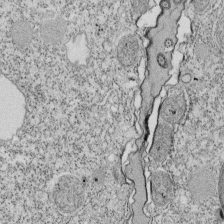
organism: Tetrahymena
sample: Cilia in tetrahymena